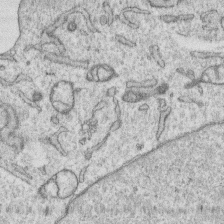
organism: Human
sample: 1205lu cells